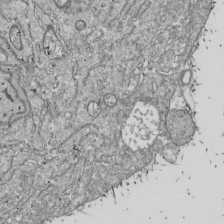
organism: Drosophila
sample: Cell division; meiosis; drosophila spermatocytes